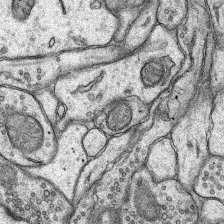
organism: Rat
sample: Hippocampus